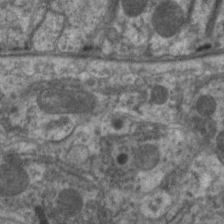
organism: C. elegans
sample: Pharynx